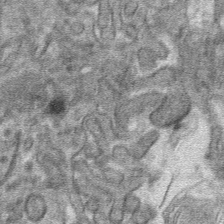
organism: Mouse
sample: Mouse hepatocytes